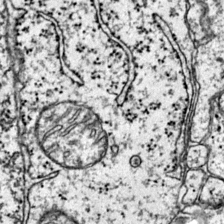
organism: Mouse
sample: Primary visual cortex